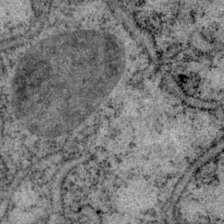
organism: P. pacificus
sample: Pharynx